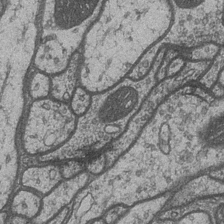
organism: Drosophila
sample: Optic medulla